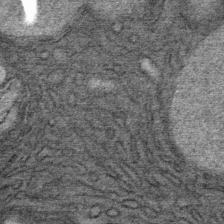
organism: Mouse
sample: Mouse Salivary gland